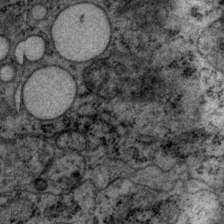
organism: P. pacificus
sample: Pharynx